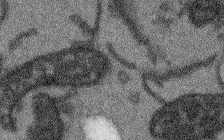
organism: Arabidopsis thaliana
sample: Root tip